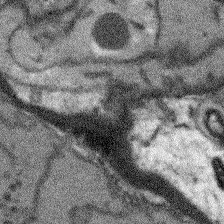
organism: Arabidopsis thaliana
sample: Root tip